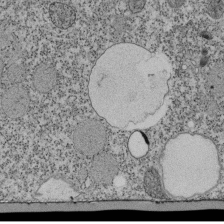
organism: Tetrahymena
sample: Cilia in tetrahymena